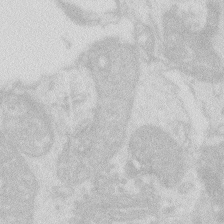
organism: Zebrafish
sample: Macrophage